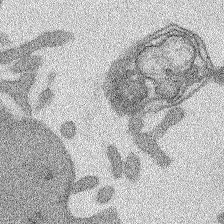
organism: Human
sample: HeLa cells